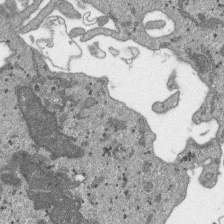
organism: Human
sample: Lung epithelial cells infected with SARS-CoV-2